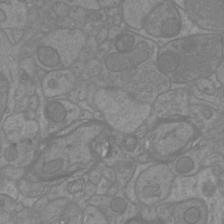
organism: Mouse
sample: Cortical neurons